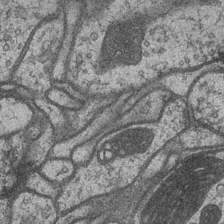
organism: Drosophila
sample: Optic medulla